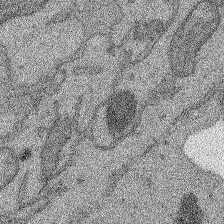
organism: Human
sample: HeLa cells